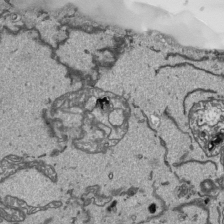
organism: Human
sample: Mitochondria in HCT116 cells